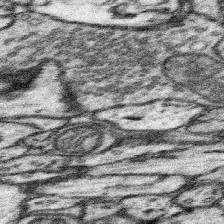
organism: Mouse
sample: Somatosensory cortex neuropil